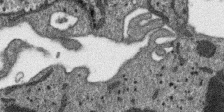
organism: Human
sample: Lung epithelial cells infected with SARS-CoV-2